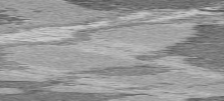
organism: C57BL Mouse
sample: Heart